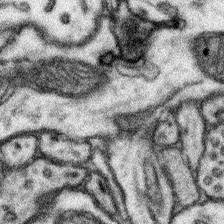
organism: Mouse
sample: Somatosensory cortex neuropil